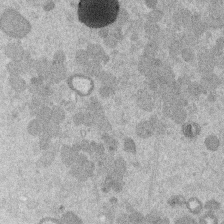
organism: Mouse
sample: Dividing mouse embryo 1 cell stage